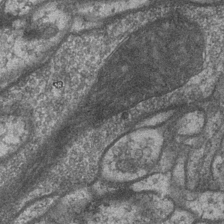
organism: Drosophila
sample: Optic medulla